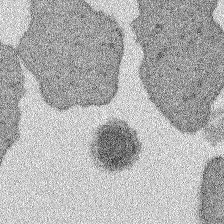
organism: Human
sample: HeLa cells